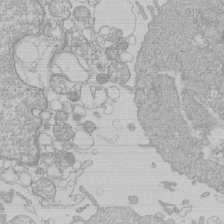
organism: Human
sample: Macrophage cells